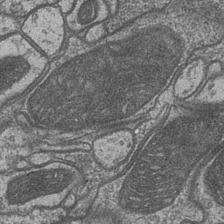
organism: Drosophila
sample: Optic medulla